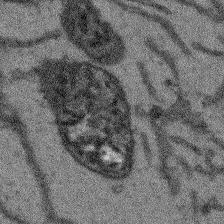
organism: Arabidopsis thaliana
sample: Root tip